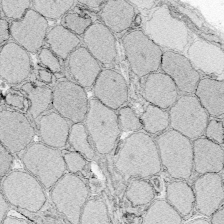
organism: Zebrafish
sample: Whole-Brain